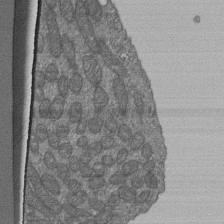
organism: Human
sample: Retinal organoid Rod and Cone cells